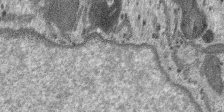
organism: Human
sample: Lung epithelial cells infected with SARS-CoV-2